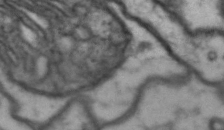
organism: Drosophila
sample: Brain